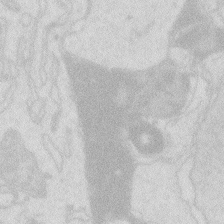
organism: Zebrafish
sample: Macrophage